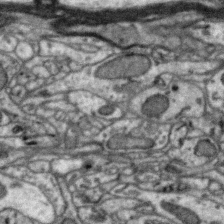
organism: Zebra finch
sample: Brain